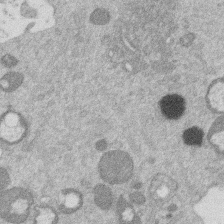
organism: Mouse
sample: Dividing mouse embryo 1 cell stage